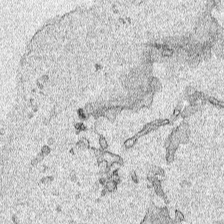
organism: Human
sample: Mitochondria in HCT116 cells